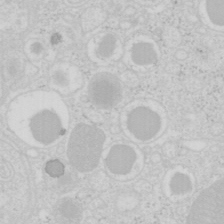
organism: Mouse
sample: Pancreas